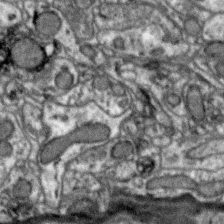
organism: Zebra finch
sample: Brain